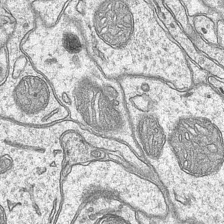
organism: Mouse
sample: CA1 Hippocampus